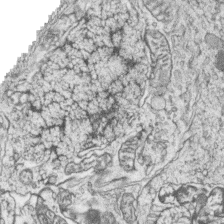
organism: Zebrafish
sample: synaptic ribbons in rod cells and cone cells